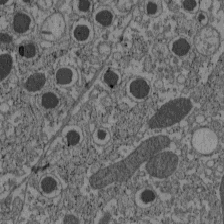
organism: C57BL Mouse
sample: Pancreatic islet